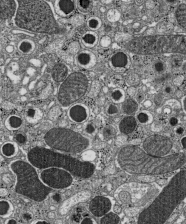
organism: C57BL Mouse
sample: Pancreatic islet